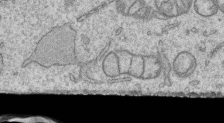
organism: Human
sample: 1205lu cells